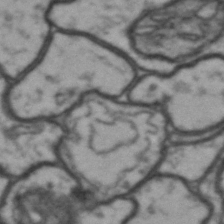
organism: Drosophila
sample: Brain